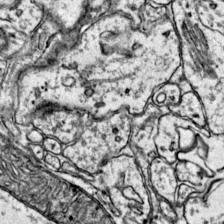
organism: Mouse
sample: Primary visual cortex